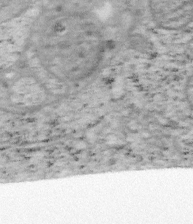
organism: Mouse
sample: OT-I killer T cells with ID8 ovarian cancer cells